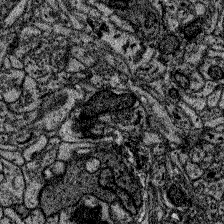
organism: Zebrafish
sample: Larval olfactory bulb